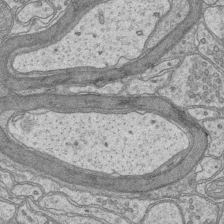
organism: Mouse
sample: CA1 Hippocampus